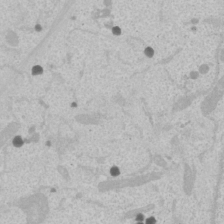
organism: Human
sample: Mitochondria in U2OS cells